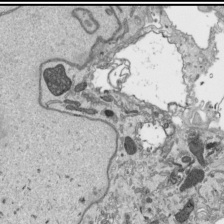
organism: Human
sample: Mitochondria in HCT116 cells